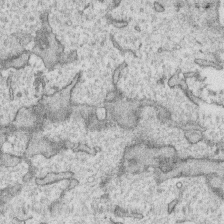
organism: Human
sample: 1205lu cells